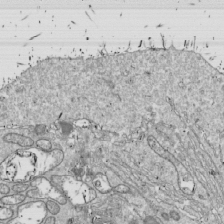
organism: Drosophila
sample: Cell division; meiosis; drosophila spermatocytes